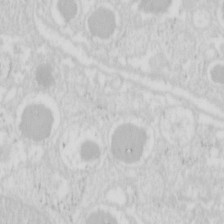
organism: Mouse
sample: Pancreas